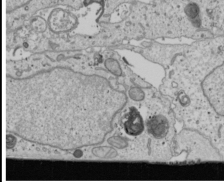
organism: Human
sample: Mitochondria in U2OS cells